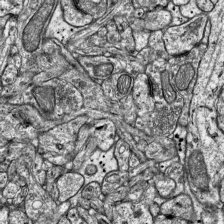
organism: Mouse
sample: Visual Cortex